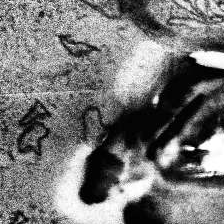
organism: Human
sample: Temporal Lobe